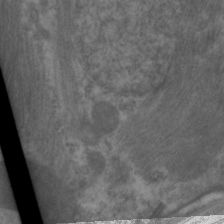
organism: C. elegans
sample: Pharynx